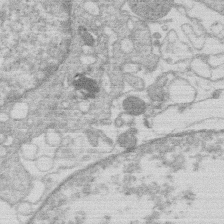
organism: Human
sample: Macrophage cells